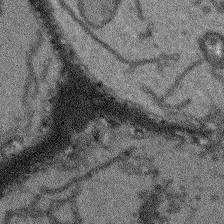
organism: Arabidopsis thaliana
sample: Root tip